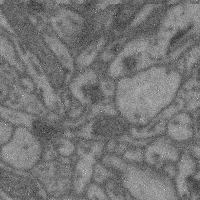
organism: Mouse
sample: Cerebral cortex